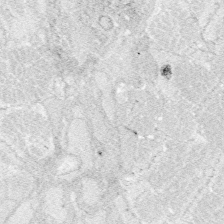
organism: Zebrafish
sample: Whole-Brain